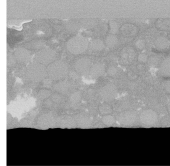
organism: C. elegans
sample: C. elegans oocyte; sperm cells